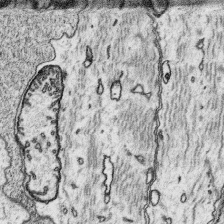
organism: Platynereis dumerilii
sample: Parapodia